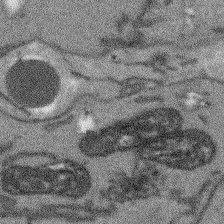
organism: Arabidopsis thaliana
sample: Root tip